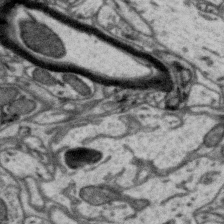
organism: Zebra finch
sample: Brain